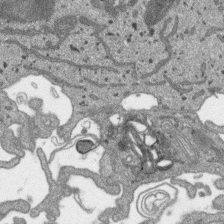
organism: Human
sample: Lung epithelial cells infected with SARS-CoV-2